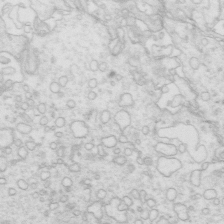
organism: Mouse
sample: Multiciliated cells